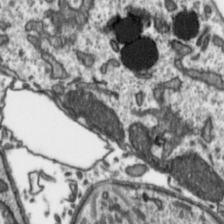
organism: Toxoplasma gondii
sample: Parasites in a vacuole inside a host cell